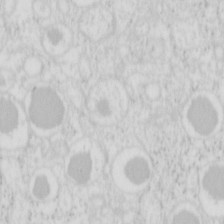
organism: Mouse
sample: Pancreas